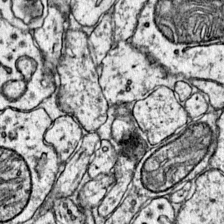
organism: Mouse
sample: Primary visual cortex